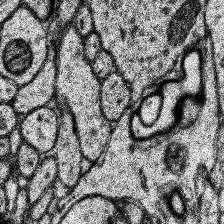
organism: Human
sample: Temporal Lobe